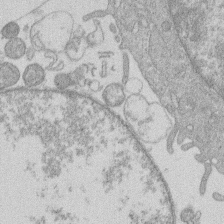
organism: Human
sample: Macrophage cells